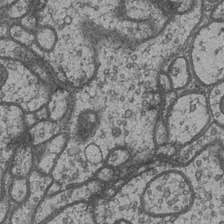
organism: Drosophila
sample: Optic medulla